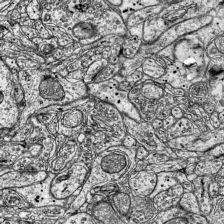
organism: Mouse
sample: Visual Cortex